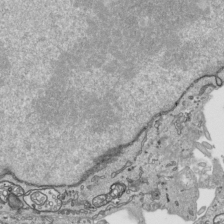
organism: Human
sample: Mitochondria in HCT116 cells